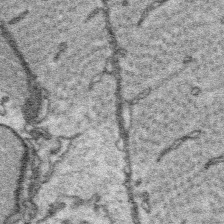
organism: Platynereis dumerilii